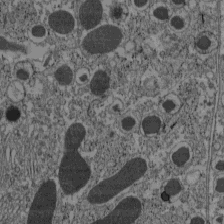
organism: C57BL Mouse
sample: Pancreatic islet